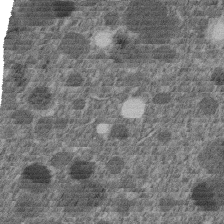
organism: C. elegans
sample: C. elegans embryo early stage